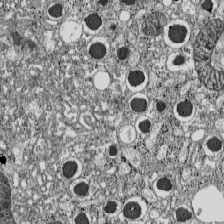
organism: C57BL Mouse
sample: Pancreatic islet